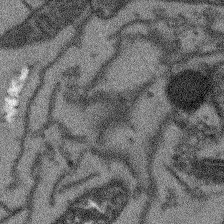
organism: Arabidopsis thaliana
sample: Root tip